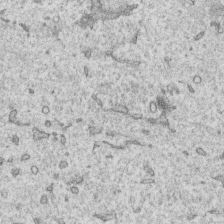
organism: Human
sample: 1205lu cells